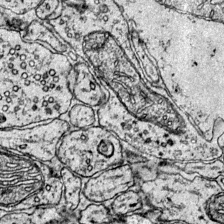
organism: Mouse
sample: Primary visual cortex